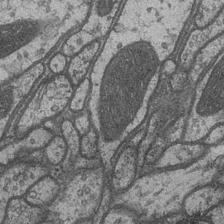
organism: Drosophila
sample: Optic medulla